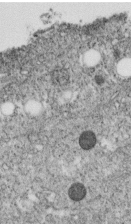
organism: C. elegans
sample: C. elegans embryo early stage